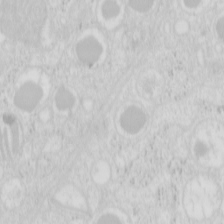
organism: Mouse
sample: Pancreas